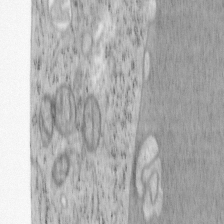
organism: Human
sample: HeLa cells